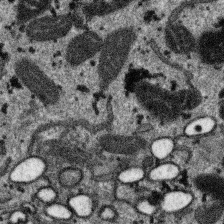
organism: Human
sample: Lung epithelial cells infected with SARS-CoV-2